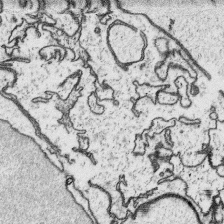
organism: Platynereis dumerilii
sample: Parapodia